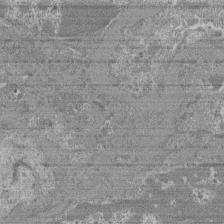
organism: Mouse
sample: Glomerulus